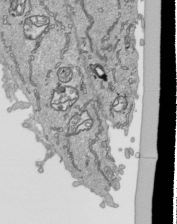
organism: Human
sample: Mitochondria in HCT116 cells